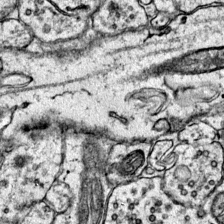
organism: Mouse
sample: Primary visual cortex